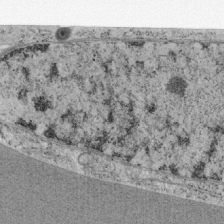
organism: Human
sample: HeLa cells